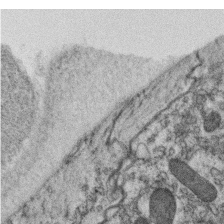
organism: C. elegans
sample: C. elegans oocyte; sperm cells